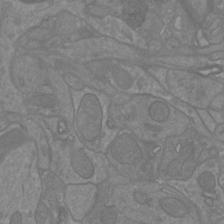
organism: Mouse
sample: Cortical neurons